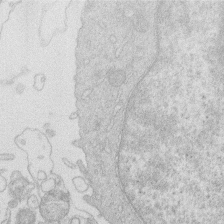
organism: Human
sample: Macrophage cells